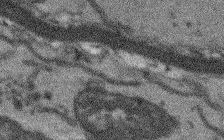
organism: Arabidopsis thaliana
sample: Root tip